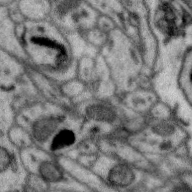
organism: Zebra finch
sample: Brain